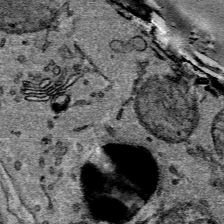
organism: Mouse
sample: Mouse Salivary gland